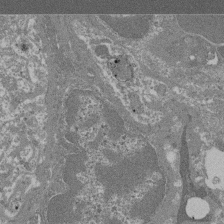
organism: Mouse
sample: Glomerulus